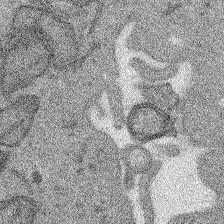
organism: Human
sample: HeLa cells